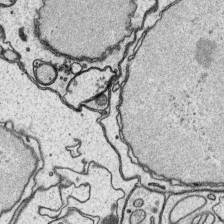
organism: Platynereis dumerilii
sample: Parapodia